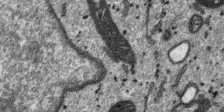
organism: Human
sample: Lung epithelial cells infected with SARS-CoV-2